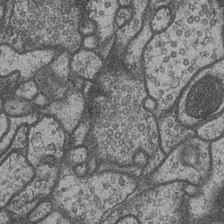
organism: Drosophila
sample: Optic medulla